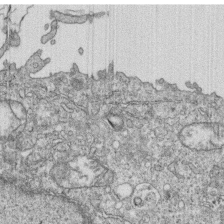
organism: Human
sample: HeLa cell HIV synapse